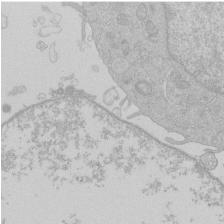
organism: Human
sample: Macrophage cells